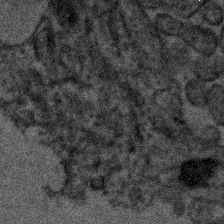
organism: Human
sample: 1205lu cells